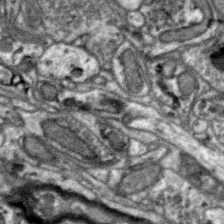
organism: Zebra finch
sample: Brain